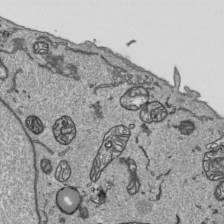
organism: Human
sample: Mitochondria in HCT116 cells